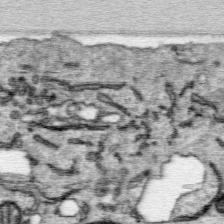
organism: Human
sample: HeLa cells